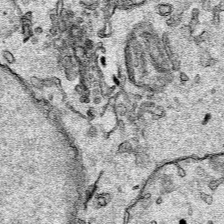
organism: Human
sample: Mitochondria in HCT116 cells